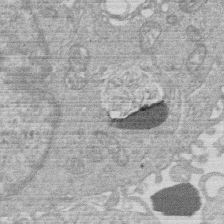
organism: Human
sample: Macrophage cells